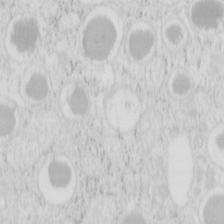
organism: Mouse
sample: Pancreas